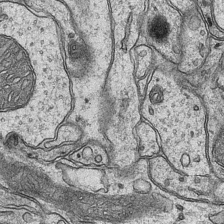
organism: Mouse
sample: CA1 Hippocampus